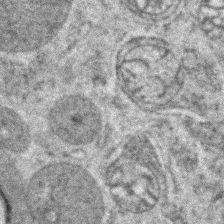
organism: Zebrafish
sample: Zebrafish embryo